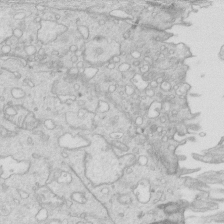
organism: Mouse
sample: Multiciliated cells